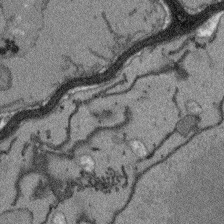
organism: Arabidopsis thaliana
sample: Root tip